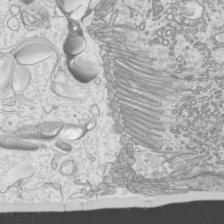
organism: Mouse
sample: Cilia; mouse epididymis